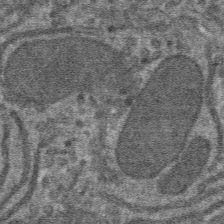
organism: Mouse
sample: Mouse hepatocytes